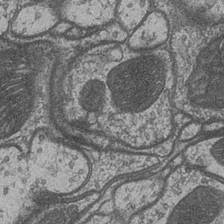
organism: Drosophila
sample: Optic medulla